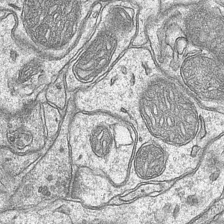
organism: Mouse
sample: CA1 Hippocampus